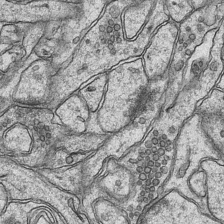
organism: Mouse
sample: CA1 Hippocampus